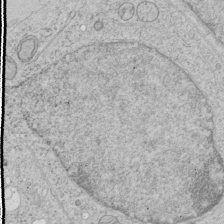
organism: Human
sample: Mitochondria in HCT116 cells